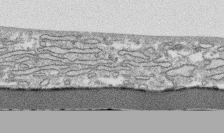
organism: Human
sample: CRL-1474